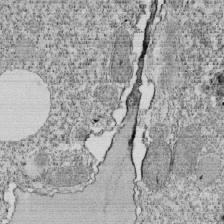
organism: Tetrahymena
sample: Cilia in tetrahymena